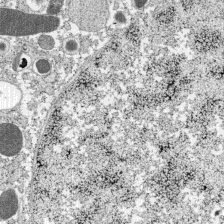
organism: C57BL Mouse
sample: Pancreatic islet